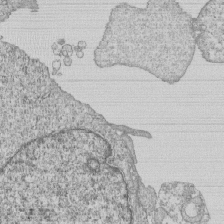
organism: Human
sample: MDA-MB-231 cells